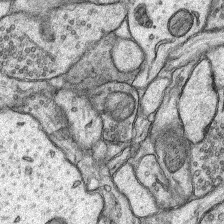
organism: Rat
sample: Hippocampus